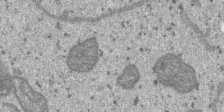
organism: Human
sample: Lung epithelial cells infected with SARS-CoV-2